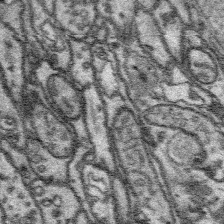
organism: Platynereis dumerilii